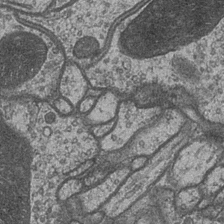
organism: Drosophila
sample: Optic medulla